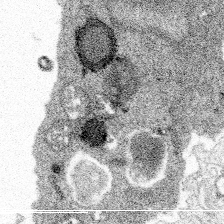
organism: Spongilla lacustris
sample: Multiple